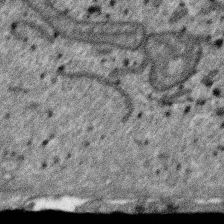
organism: Human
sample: Lung epithelial cells infected with SARS-CoV-2